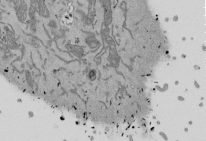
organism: Mouse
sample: ED-1 cell nuclei; centrioles